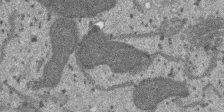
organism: Human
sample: Lung epithelial cells infected with SARS-CoV-2